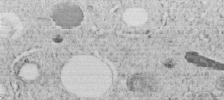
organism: C. elegans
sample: C. elegans embryo early stage